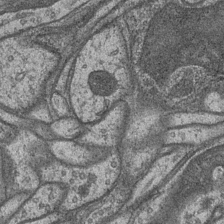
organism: Drosophila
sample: Optic medulla